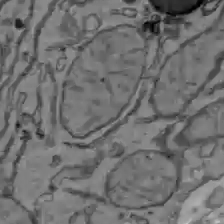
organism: C57BL Mouse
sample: Liver